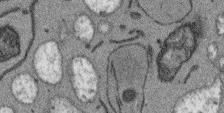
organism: Arabidopsis thaliana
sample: Root tip